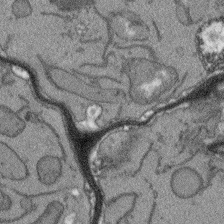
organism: Arabidopsis thaliana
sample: Root tip